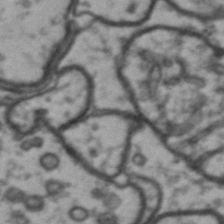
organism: Drosophila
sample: Brain